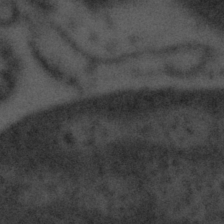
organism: Tuwongella immobilis